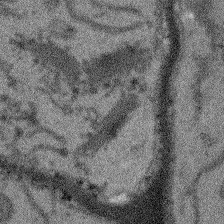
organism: Arabidopsis thaliana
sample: Root tip